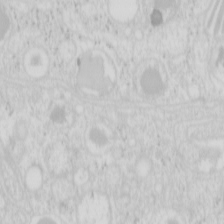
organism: Mouse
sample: Pancreas